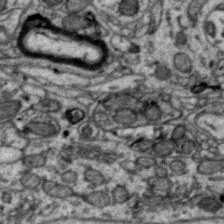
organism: Zebra finch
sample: Brain